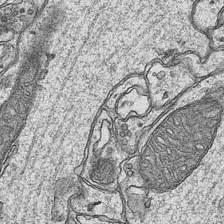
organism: Mouse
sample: CA1 Hippocampus